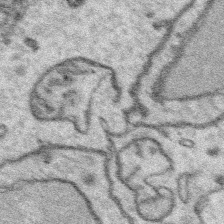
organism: Platynereis dumerilii